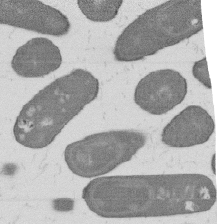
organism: B. subtilis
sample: Bacterial spore